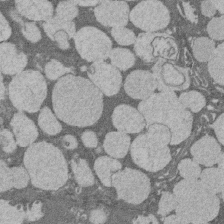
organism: Rat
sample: Salivary granule